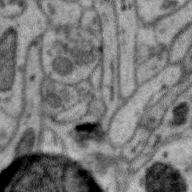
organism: Zebra finch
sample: Brain